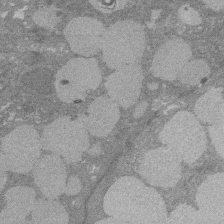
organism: Rat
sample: Salivary granule